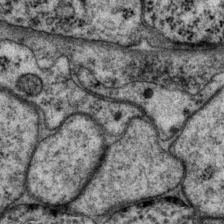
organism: P. pacificus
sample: Pharynx